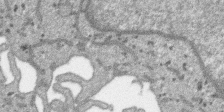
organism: Human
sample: Lung epithelial cells infected with SARS-CoV-2